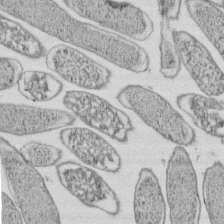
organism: E. coli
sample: Bacterial nucleoid